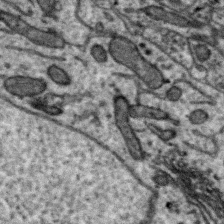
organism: Zebra finch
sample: Brain